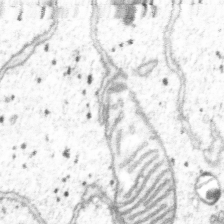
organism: Human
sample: HeLa cells